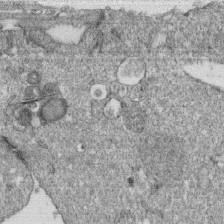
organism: African green monkey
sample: Vero E6 cells infected with SARS-CoV-2